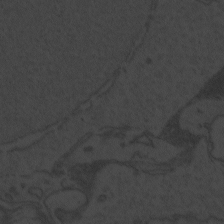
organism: Zebrafish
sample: Macrophage infected with Toxoplasma gondii